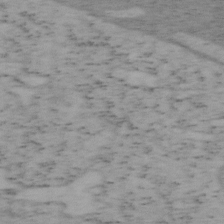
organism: Mouse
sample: OT-I killer T cells with ID8 ovarian cancer cells